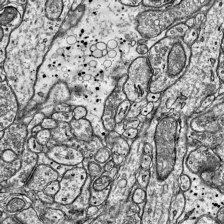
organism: Mouse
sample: Visual Cortex